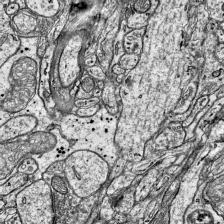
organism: Mouse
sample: Visual Cortex